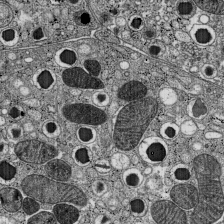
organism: C57BL Mouse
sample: Pancreatic islet